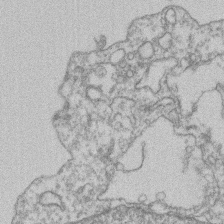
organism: Mouse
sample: T cell stromal cell synapse